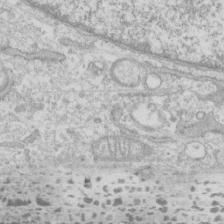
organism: Human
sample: CRL-1474